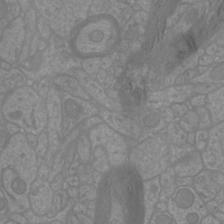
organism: Mouse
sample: Cortical neurons